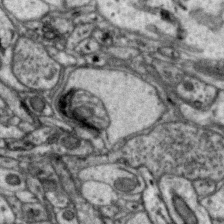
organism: Zebra finch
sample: Brain